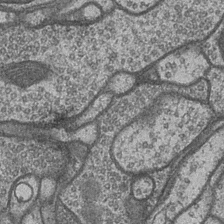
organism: Drosophila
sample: Optic medulla